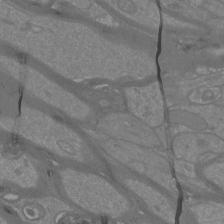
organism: Mouse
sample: Cortical neurons